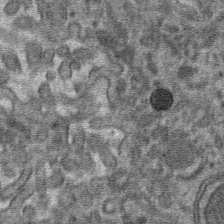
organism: Mouse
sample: Mouse hepatocytes